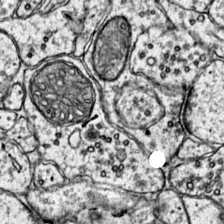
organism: Mouse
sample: Primary visual cortex